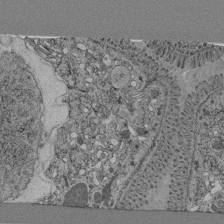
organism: C. elegans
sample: C. elegans pharynx